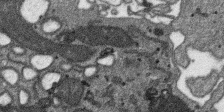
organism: Human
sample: Lung epithelial cells infected with SARS-CoV-2